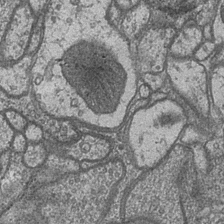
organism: Drosophila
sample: Optic medulla